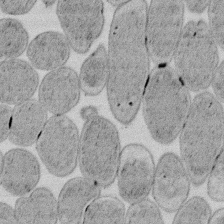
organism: E. coli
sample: Bacterial nucleoid